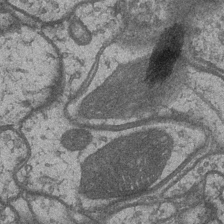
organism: Drosophila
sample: Optic medulla